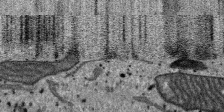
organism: Human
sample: Lung epithelial cells, uninfected (mock) control